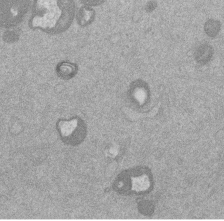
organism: Mouse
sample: Dividing mouse embryo 1 cell stage